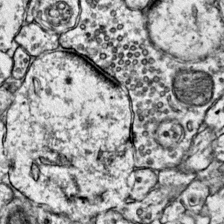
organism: Mouse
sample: Primary visual cortex